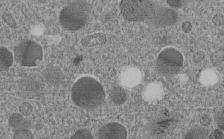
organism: C. elegans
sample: C. elegans embryo early stage